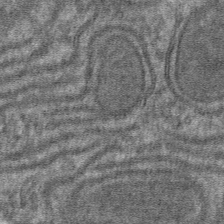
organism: Mouse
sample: Mouse hepatocytes